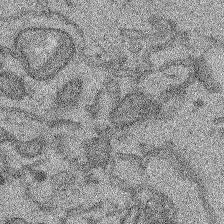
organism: Human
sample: HeLa cells